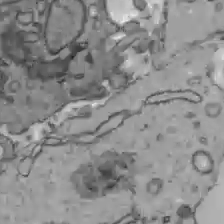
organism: C57BL Mouse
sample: Liver